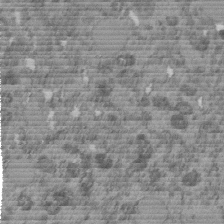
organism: C. elegans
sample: C. elegans embryo early stage